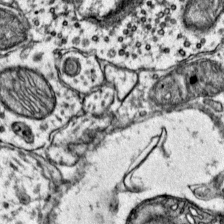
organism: Mouse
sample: Primary visual cortex